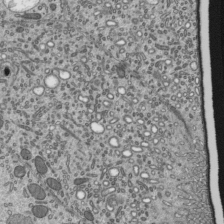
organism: Mouse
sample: Mouse epididymis efferent ductule cilia